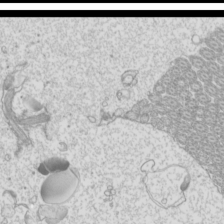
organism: Mouse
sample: Cilia; mouse epididymis